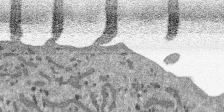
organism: Human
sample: Lung epithelial cells infected with SARS-CoV-2